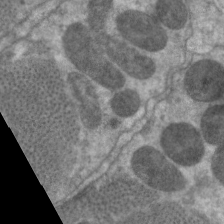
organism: C. elegans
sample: Pharynx